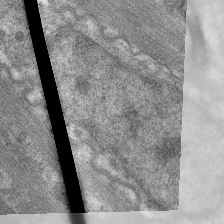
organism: C. elegans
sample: Pharynx